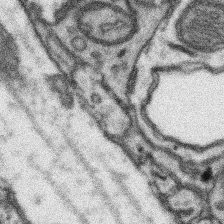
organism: Mouse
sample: Somatosensory cortex neuropil